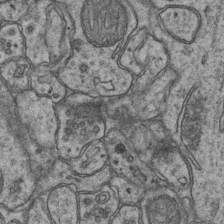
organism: Mouse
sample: CA1 Hippocampus